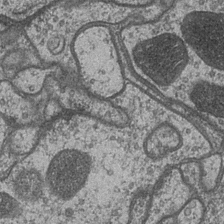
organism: Drosophila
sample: Optic medulla